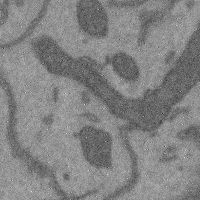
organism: Mouse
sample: Cerebral cortex